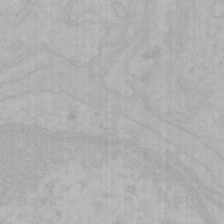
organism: Mouse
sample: Choroid plexus